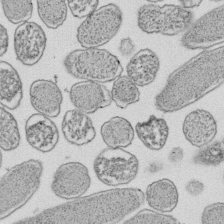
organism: E. coli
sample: Bacterial nucleoid